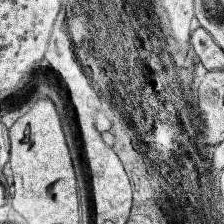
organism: Human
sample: Temporal Lobe